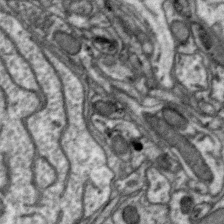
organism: Zebra finch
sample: Brain